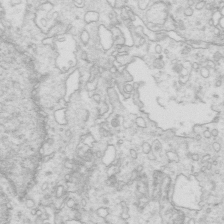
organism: Mouse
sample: Multiciliated cells